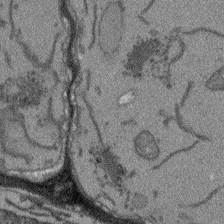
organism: Arabidopsis thaliana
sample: Root tip